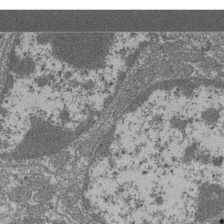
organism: Mouse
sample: Glomerulus